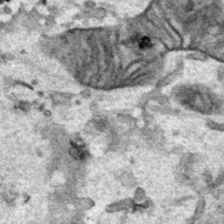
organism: Human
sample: Mitochondria in HCT116 cells